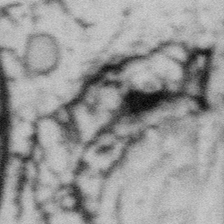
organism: Gemmata obscuriglobus